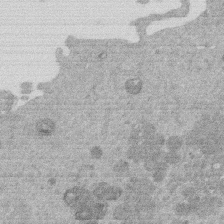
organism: Mouse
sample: Dividing mouse embryo 1 cell stage